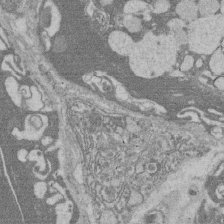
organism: Rat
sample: Salivary granule